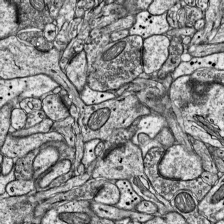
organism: Mouse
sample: Visual Cortex